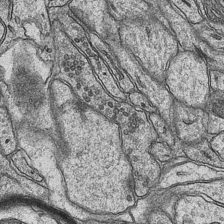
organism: Mouse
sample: CA1 Hippocampus